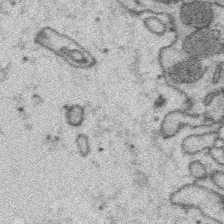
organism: Platynereis dumerilii